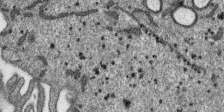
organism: Human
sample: Lung epithelial cells infected with SARS-CoV-2